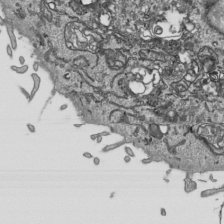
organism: Human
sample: Mitochondria in HCT116 cells